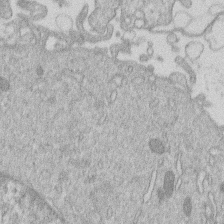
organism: Human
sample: Macrophage cells